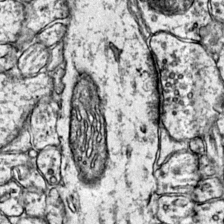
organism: Mouse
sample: Primary visual cortex